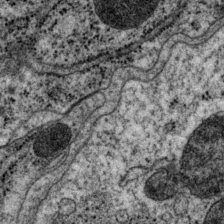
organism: P. pacificus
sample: Pharynx